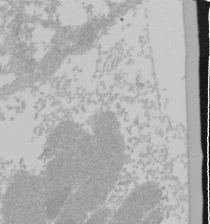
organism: Mouse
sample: Cancer cell death in ED-1 cells